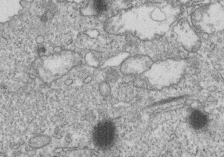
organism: Human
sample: HeLa cell HIV synapse